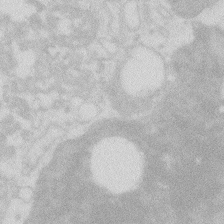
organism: Zebrafish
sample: Macrophage